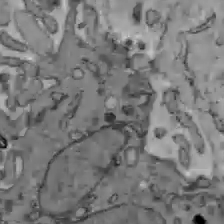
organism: C57BL Mouse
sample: Liver